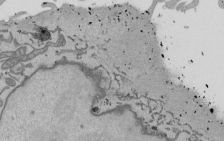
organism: Mouse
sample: ED-1 cell nuclei; centrioles